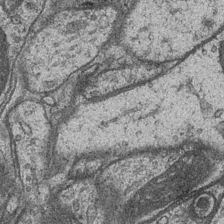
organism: Drosophila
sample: Optic medulla